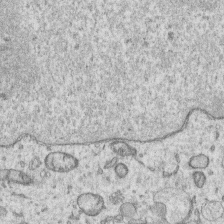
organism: Human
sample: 1205lu cells